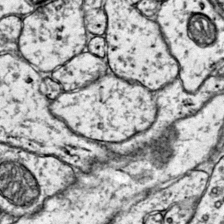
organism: Mouse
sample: Primary visual cortex